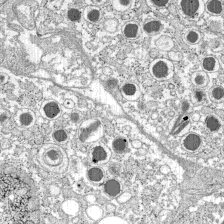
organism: C57BL Mouse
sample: Pancreatic islet